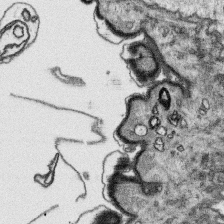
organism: Platynereis dumerilii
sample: Parapodia